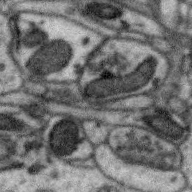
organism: Zebra finch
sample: Brain